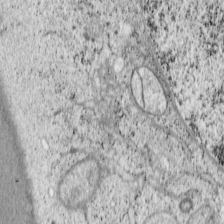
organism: African green monkey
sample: COS-7 cells